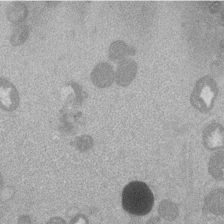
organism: Mouse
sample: Dividing mouse embryo 1 cell stage